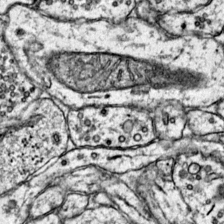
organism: Mouse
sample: Primary visual cortex